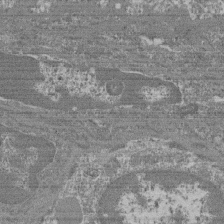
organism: Mouse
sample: Glomerulus